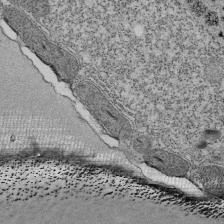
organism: Tetrahymena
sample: Cilia in tetrahymena